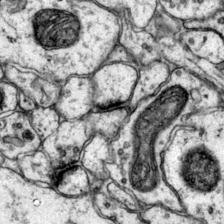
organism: Mouse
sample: Primary visual cortex